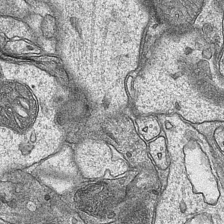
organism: Mouse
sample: CA1 Hippocampus